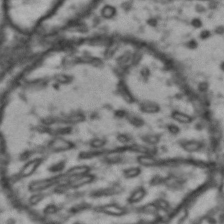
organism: Drosophila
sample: Brain